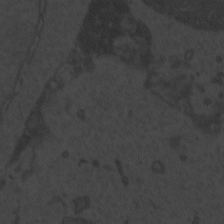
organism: Zebrafish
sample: Macrophage infected with Toxoplasma gondii